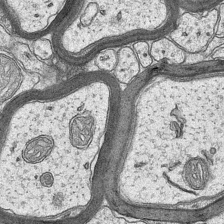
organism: Mouse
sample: CA1 Hippocampus